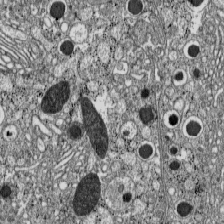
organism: C57BL Mouse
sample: Pancreatic islet